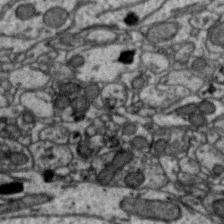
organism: Zebra finch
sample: Brain